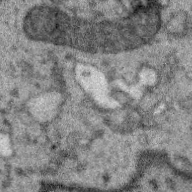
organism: Zebra finch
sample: Brain